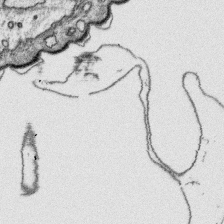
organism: Platynereis dumerilii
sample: Parapodia